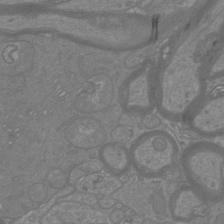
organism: Mouse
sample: Cortical neurons